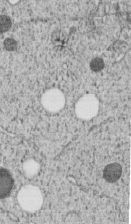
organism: C. elegans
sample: C. elegans embryo early stage